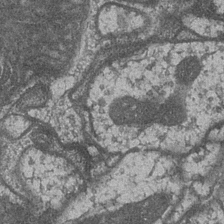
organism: Drosophila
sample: Optic medulla